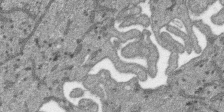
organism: Human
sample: Lung epithelial cells infected with SARS-CoV-2